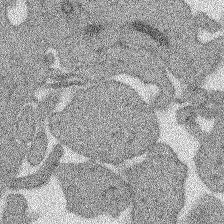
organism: Human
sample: HeLa cells